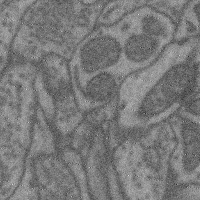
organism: Mouse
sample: Cerebral cortex